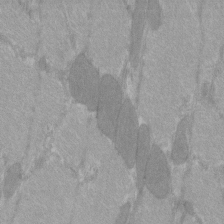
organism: C57BL Mouse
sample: Tibialis anterior muscle cell